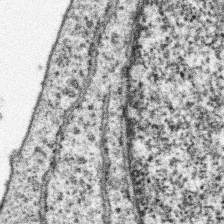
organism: Human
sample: HeLa cells